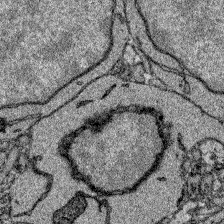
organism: Zebrafish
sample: Larval olfactory bulb